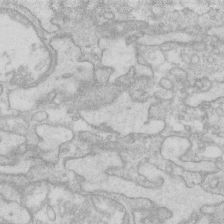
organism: Human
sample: Fibroblast cells